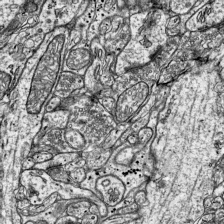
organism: Mouse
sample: Visual Cortex